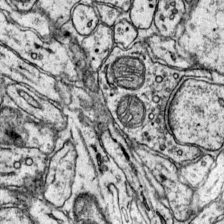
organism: Mouse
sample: Primary visual cortex